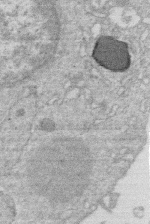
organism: Human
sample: Macrophage cells